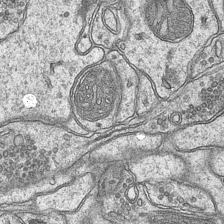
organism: Mouse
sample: CA1 Hippocampus